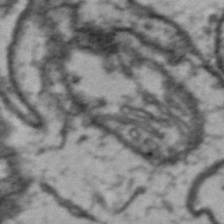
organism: Drosophila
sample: Brain